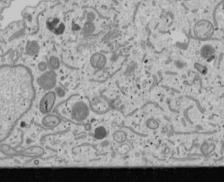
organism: Human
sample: Mitochondria in U2OS cells